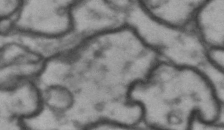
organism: Drosophila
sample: Brain